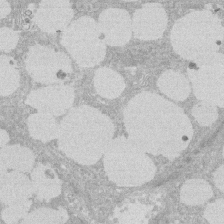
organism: Rat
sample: Salivary granule